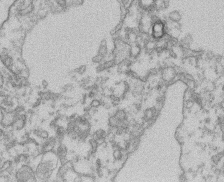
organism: Mouse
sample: T cell stromal cell synapse